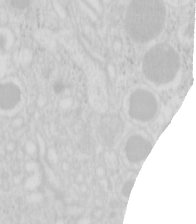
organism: Mouse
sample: Pancreas